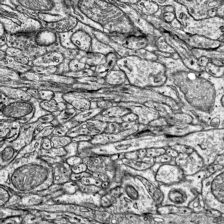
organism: Mouse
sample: Visual Cortex